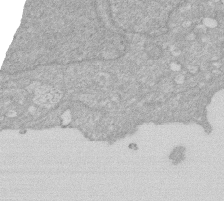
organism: Human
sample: HIV infected U937 cells